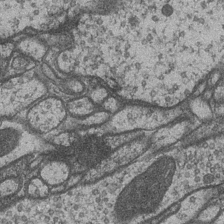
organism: Drosophila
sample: Optic medulla